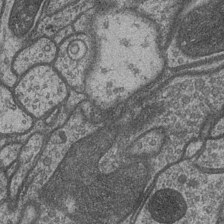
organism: Drosophila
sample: Optic medulla